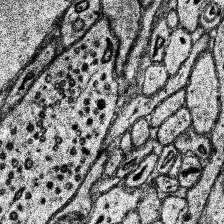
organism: Human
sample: Temporal Lobe